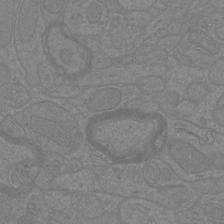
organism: Mouse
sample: Cortical neurons